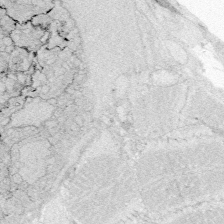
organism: Zebrafish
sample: Whole-Brain